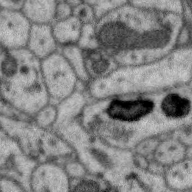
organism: Zebra finch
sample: Brain